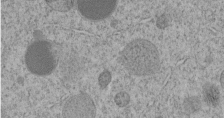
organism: C. elegans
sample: C. elegans embryo early stage